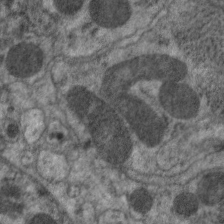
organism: C. elegans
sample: Pharynx